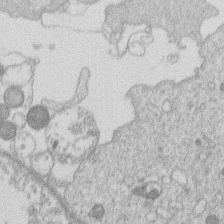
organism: Human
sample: Macrophage cells